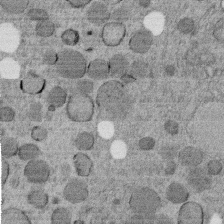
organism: C. elegans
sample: C. elegans embryo early stage